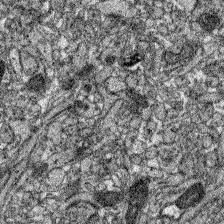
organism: Zebrafish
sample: Larval olfactory bulb